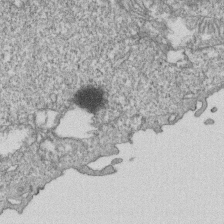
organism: Human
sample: HeLa cell HIV synapse